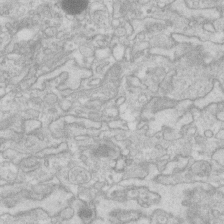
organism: Human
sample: Fibroblast cells